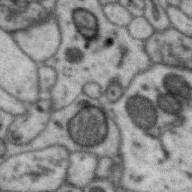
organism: Zebra finch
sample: Brain